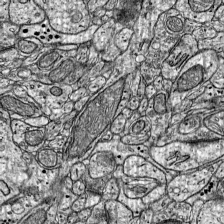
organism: Mouse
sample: Visual Cortex